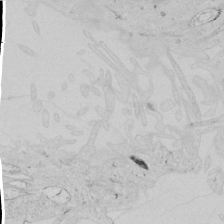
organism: Human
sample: Mitochondria in HCT116 cells